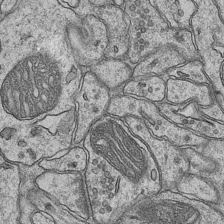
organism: Mouse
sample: CA1 Hippocampus